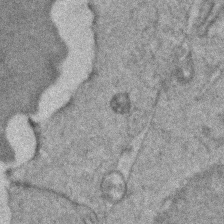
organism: Zebrafish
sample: Zebrafish embryo